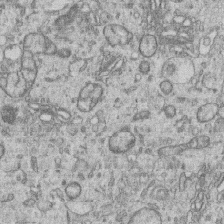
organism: Human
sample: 1205lu cells